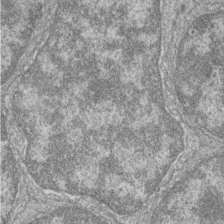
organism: Zebrafish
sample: Cilia; retinal pigment epithelium